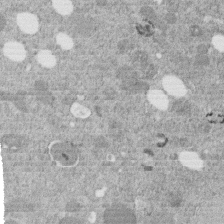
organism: C. elegans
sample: C. elegans embryo early stage